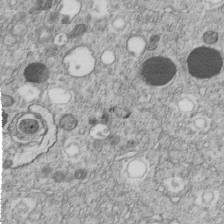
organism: C. elegans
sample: C. elegans embryo early stage